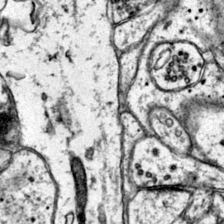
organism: Mouse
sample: Primary visual cortex